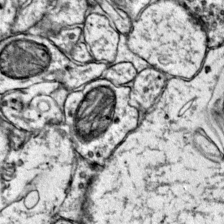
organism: Mouse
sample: Primary visual cortex